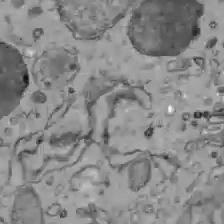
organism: C57BL Mouse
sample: Liver